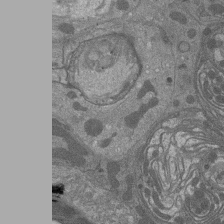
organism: Drosophila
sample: Antenna